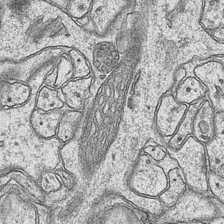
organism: Mouse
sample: CA1 Hippocampus